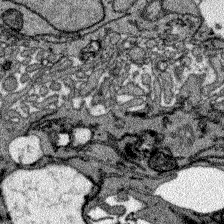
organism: Zebrafish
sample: Larval olfactory bulb